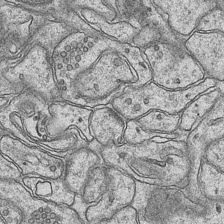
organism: Mouse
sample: CA1 Hippocampus